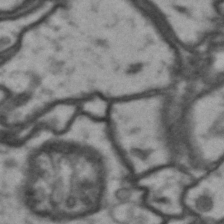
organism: Drosophila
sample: Brain